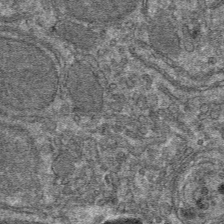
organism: Mouse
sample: Mouse hepatocytes